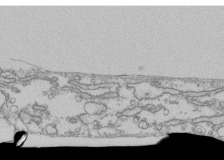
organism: Human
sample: Fibroblast cells